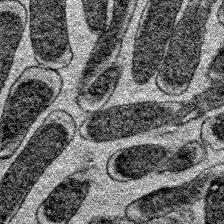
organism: E. coli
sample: E. Coli Bacteria